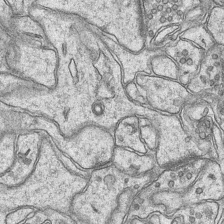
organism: Mouse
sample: CA1 Hippocampus